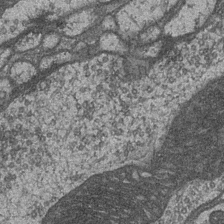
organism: Drosophila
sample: Optic medulla